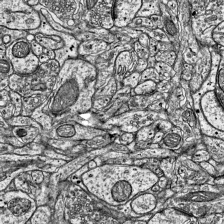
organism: Mouse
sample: Visual Cortex